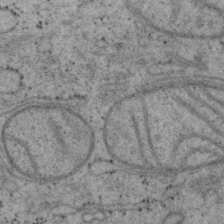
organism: Human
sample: HeLa cells